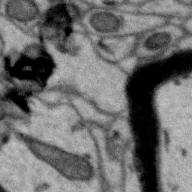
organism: Zebra finch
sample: Brain